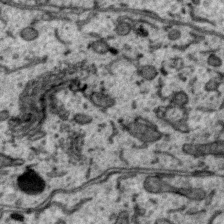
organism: Zebra finch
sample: Brain